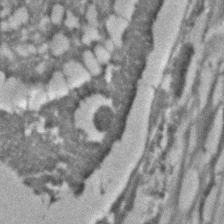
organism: C. elegans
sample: C. elegans embryo